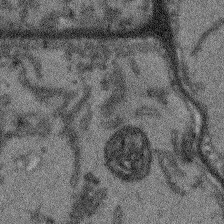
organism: Arabidopsis thaliana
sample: Root tip